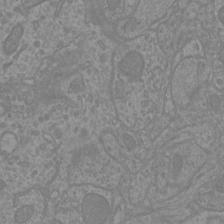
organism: Mouse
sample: Cortical neurons